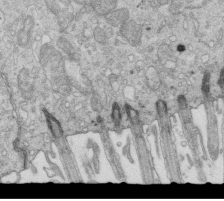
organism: Mouse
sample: Multiciliated cells